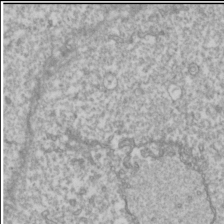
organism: Drosophila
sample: Cell division; meiosis; drosophila spermatocytes